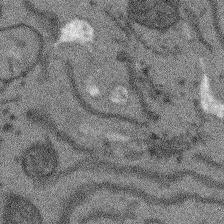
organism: Arabidopsis thaliana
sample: Root tip